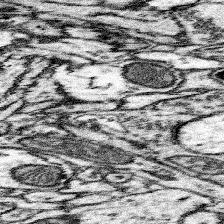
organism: Mouse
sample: Somatosensory cortex neuropil